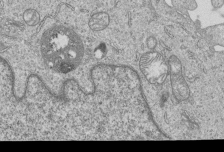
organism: Human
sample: MDA-MB-231 cells